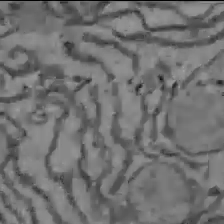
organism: C57BL Mouse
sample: Liver